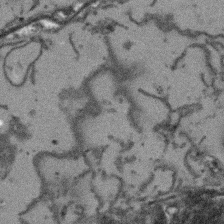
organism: Arabidopsis thaliana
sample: Root tip